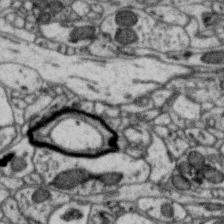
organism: Zebra finch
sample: Brain